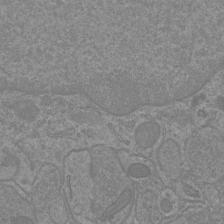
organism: Mouse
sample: Cortical neurons